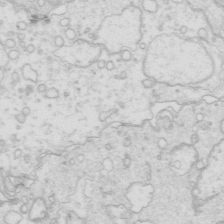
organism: Mouse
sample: Multiciliated cells